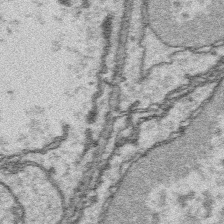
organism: Platynereis dumerilii